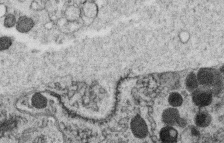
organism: C. elegans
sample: C. elegans oocyte; sperm cells